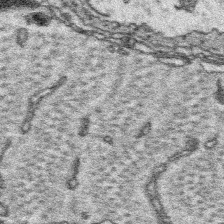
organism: Platynereis dumerilii